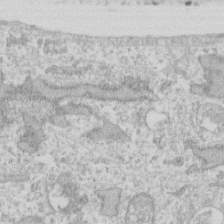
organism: Human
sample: Fibroblast cells